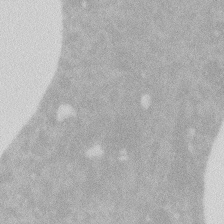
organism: Zebrafish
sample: Macrophage